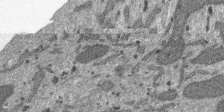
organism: Human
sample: Lung epithelial cells infected with SARS-CoV-2